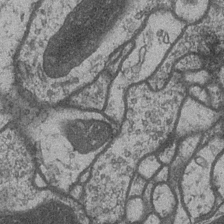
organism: Drosophila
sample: Optic medulla